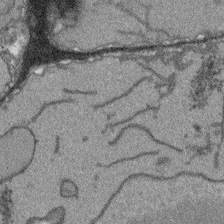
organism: Arabidopsis thaliana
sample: Root tip